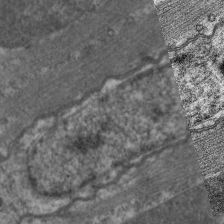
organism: C. elegans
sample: Pharynx